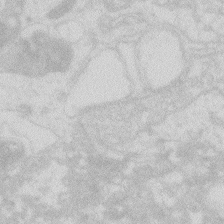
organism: Zebrafish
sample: Macrophage